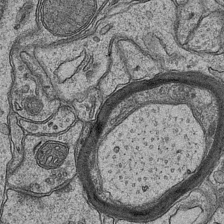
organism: Mouse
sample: CA1 Hippocampus